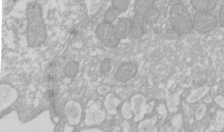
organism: Xenopus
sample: Cilia; centrioles in frog embryo cells